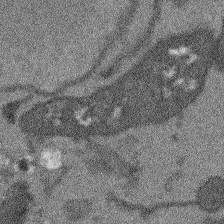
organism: Arabidopsis thaliana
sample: Root tip